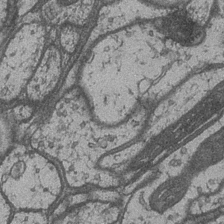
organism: Drosophila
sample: Optic medulla